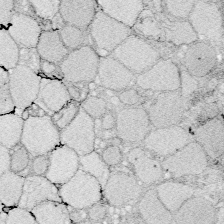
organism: Zebrafish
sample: Whole-Brain